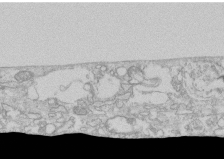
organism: Human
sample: CRL-1474